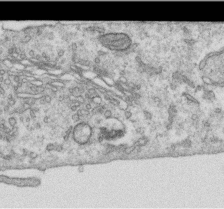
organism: Human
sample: Centriole in RPE cells